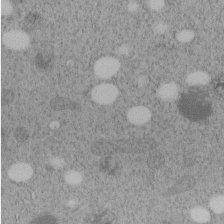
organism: C. elegans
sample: C. elegans embryo early stage